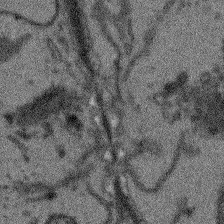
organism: Arabidopsis thaliana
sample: Root tip